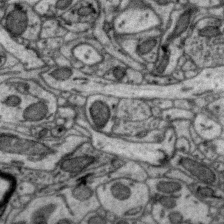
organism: Zebra finch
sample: Brain